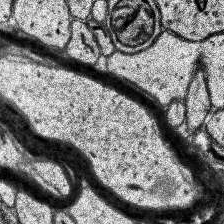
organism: Human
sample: Temporal Lobe